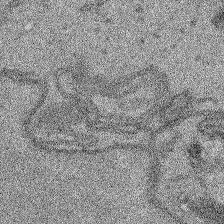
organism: Human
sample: HeLa cells